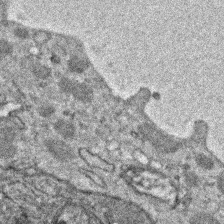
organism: Zebrafish